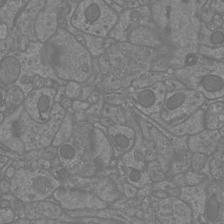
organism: Mouse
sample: Cortical neurons